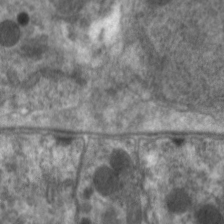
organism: C. elegans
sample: Pharynx